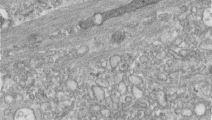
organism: Human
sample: Centriole in RPE cells